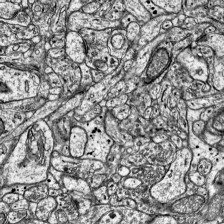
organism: Mouse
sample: Visual Cortex